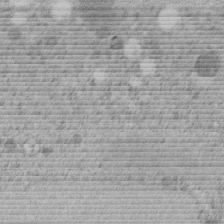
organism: C. elegans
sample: C. elegans embryo early stage